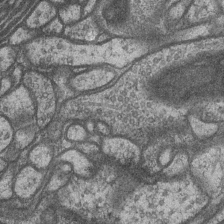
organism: Drosophila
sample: Optic medulla